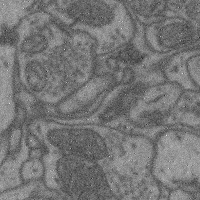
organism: Mouse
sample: Cerebral cortex